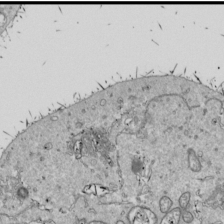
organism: Drosophila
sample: Cell division; meiosis; drosophila spermatocytes